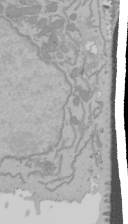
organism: Mouse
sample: Cancer cell death in ED-1 cells